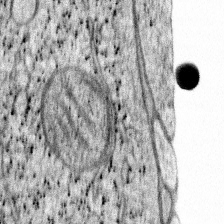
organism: Human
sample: HeLa cells